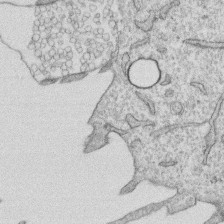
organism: Human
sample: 1205lu cells